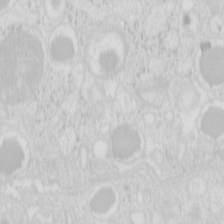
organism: Mouse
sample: Pancreas